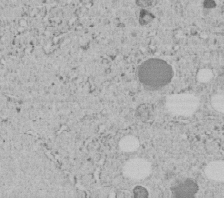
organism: C. elegans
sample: C. elegans embryo early stage